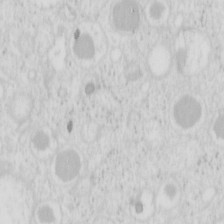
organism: Mouse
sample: Pancreas